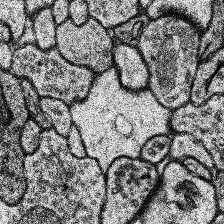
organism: Human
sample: Temporal Lobe